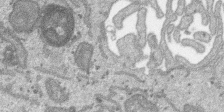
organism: Human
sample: Lung epithelial cells infected with SARS-CoV-2